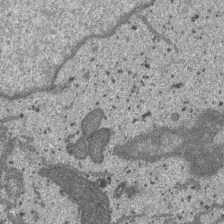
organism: Human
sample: Lung epithelial cells infected with SARS-CoV-2